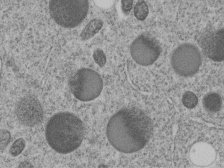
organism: C. elegans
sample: C. elegans embryo early stage